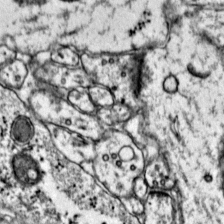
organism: Mouse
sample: Primary visual cortex